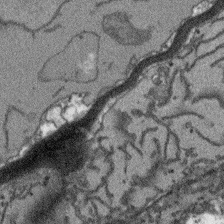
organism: Arabidopsis thaliana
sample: Root tip